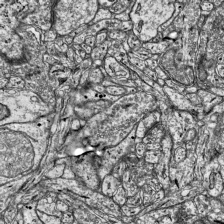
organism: Mouse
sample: Visual Cortex